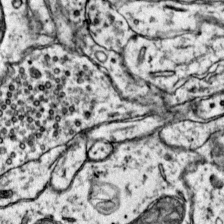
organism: Mouse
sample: Primary visual cortex